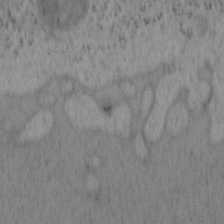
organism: Mouse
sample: OT-I killer T cells with ID8 ovarian cancer cells